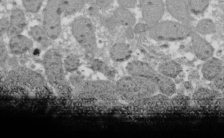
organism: Xenopus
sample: Cilia; centrioles in frog embryo cells